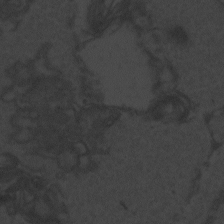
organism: Zebrafish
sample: Macrophage infected with Toxoplasma gondii